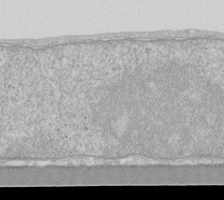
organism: Human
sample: Fibroblast cells